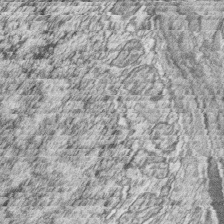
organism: Zebrafish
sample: synaptic ribbons in rod cells and cone cells